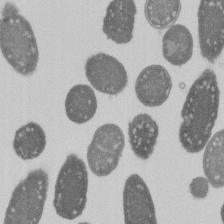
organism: E. coli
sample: Bacterial nucleoid